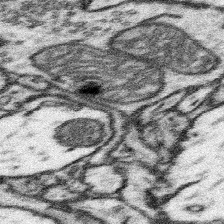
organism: Mouse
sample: Somatosensory cortex neuropil